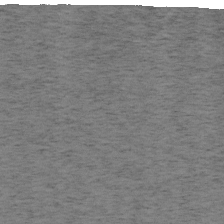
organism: Mouse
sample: OT-I killer T cells with ID8 ovarian cancer cells